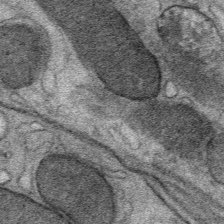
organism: Mouse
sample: Mouse Salivary gland